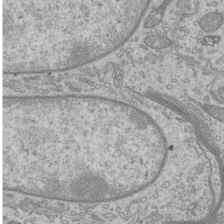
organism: Mouse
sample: Cilia; mouse epididymis